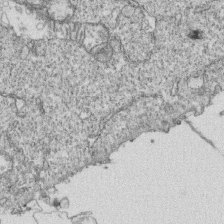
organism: Human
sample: HeLa cell HIV synapse